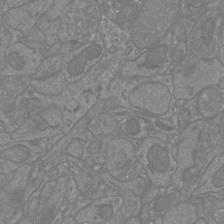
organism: Mouse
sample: Cortical neurons